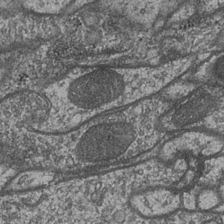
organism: Drosophila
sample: Optic medulla